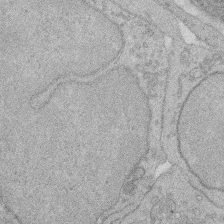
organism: Rat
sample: Salivary granule